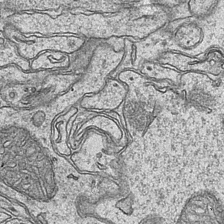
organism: Mouse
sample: CA1 Hippocampus